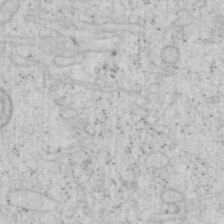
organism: Human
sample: HeLa cells